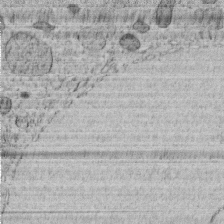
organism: C. elegans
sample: C. elegans embryo early stage